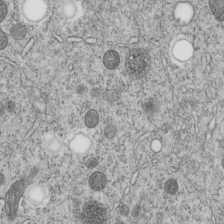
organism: C. elegans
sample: C. elegans embryo early stage